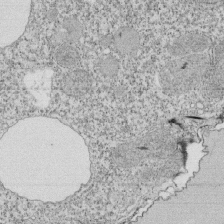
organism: Tetrahymena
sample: Cilia in tetrahymena